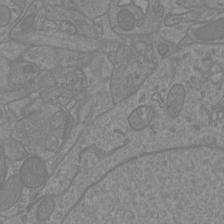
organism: Mouse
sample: Cortical neurons